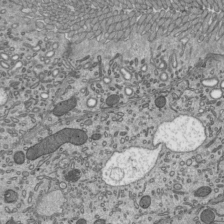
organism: Mouse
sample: Mouse epididymis efferent ductule cilia